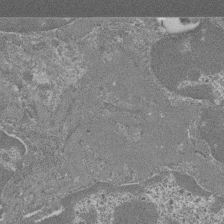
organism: Mouse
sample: Glomerulus